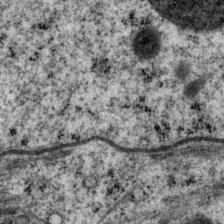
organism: P. pacificus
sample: Pharynx